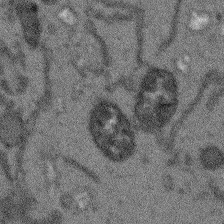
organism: Arabidopsis thaliana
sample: Root tip